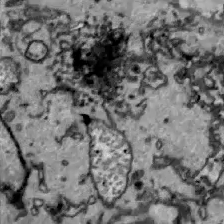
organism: Zebrafish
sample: Actinotrichia fibers